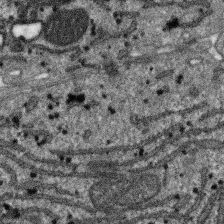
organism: Human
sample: Lung epithelial cells infected with SARS-CoV-2